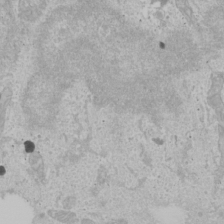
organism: Human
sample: Mitochondria in U2OS cells